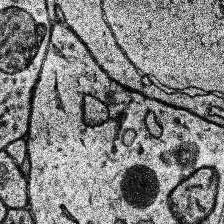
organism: Human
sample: Temporal Lobe